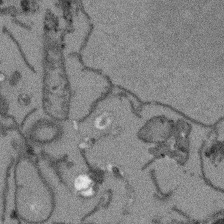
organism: Arabidopsis thaliana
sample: Root tip